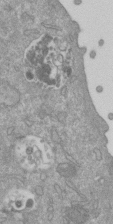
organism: Mouse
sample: ED-1 cell nuclei; centrioles